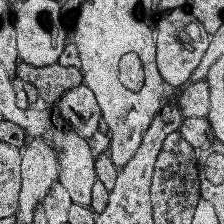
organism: Human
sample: Temporal Lobe